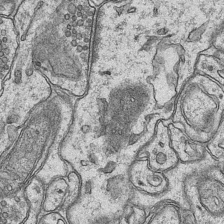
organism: Mouse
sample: CA1 Hippocampus